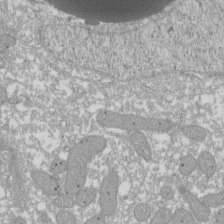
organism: Xenopus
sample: Cilia; centrioles in frog embryo cells